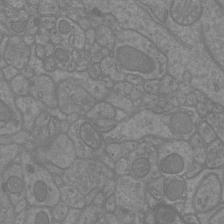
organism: Mouse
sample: Cortical neurons